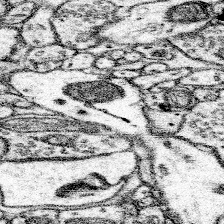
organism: Mouse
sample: Somatosensory cortex neuropil